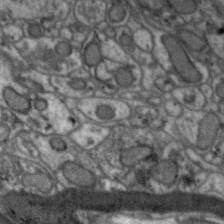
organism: Zebra finch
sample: Brain